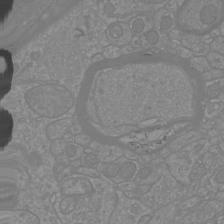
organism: Mouse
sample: Cortical neurons